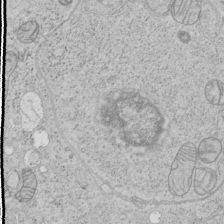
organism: Human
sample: Mitochondria in HCT116 cells